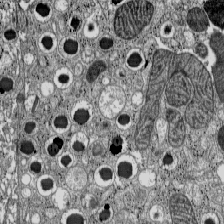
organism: C57BL Mouse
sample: Pancreatic islet